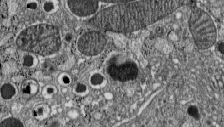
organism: C57BL Mouse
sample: Pancreatic islet